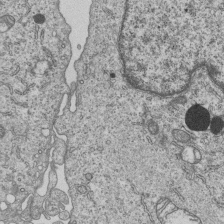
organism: Human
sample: MDA-MB-231 cells